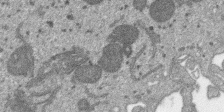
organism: Human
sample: Lung epithelial cells infected with SARS-CoV-2